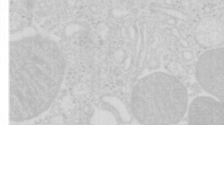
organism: Mouse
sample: Pancreas